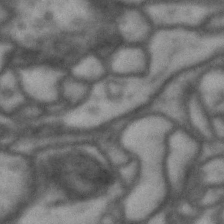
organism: Drosophila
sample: Brain